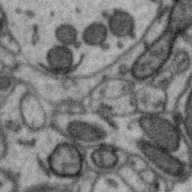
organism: Zebra finch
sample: Brain